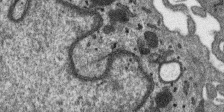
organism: Human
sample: Lung epithelial cells infected with SARS-CoV-2